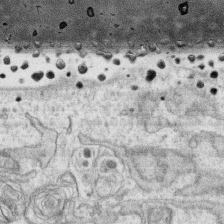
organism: Human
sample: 1205lu cells